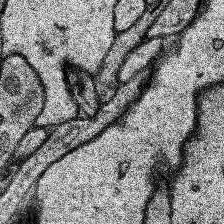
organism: Human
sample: Temporal Lobe